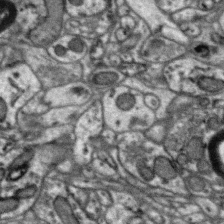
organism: Zebra finch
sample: Brain